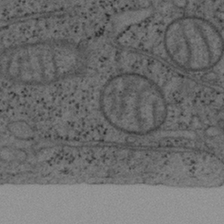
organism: Human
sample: HeLa cells